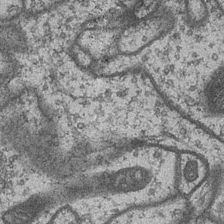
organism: Drosophila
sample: Optic medulla